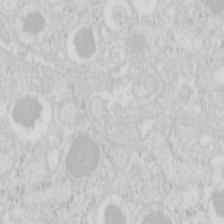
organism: Mouse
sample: Pancreas